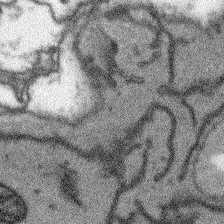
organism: Arabidopsis thaliana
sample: Root tip